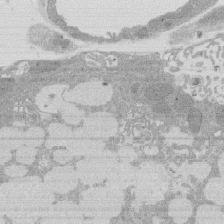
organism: Rat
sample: Salivary granule